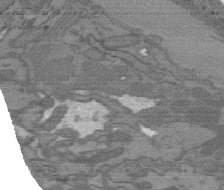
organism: C. elegans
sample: AFD neurons C. elegans